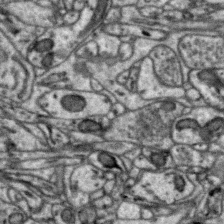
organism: Zebra finch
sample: Brain